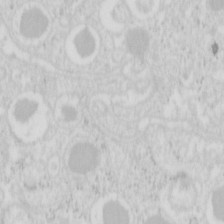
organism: Mouse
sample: Pancreas